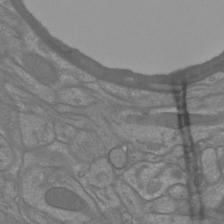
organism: Mouse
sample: Cortical neurons